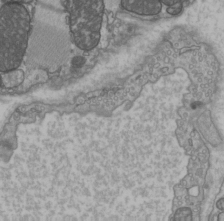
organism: C57BL Mouse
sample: Heart